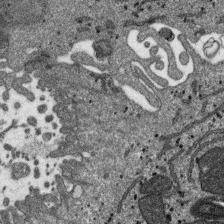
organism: Human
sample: Lung epithelial cells infected with SARS-CoV-2